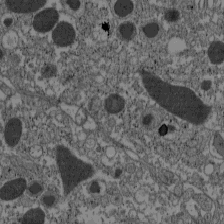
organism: C57BL Mouse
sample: Pancreatic islet